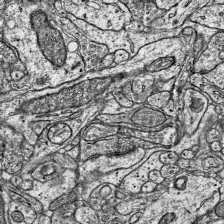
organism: Mouse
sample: Visual Cortex